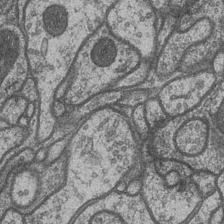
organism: Drosophila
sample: Optic medulla